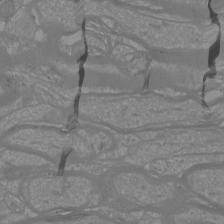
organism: Mouse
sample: Cortical neurons